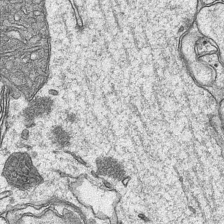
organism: Mouse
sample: CA1 Hippocampus